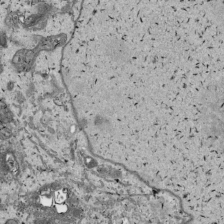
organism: Human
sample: Mitochondria in HCT116 cells